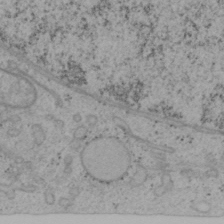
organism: Human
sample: HeLa cells